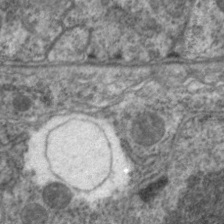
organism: C. elegans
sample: Pharynx